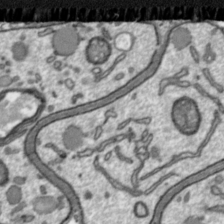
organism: Toxoplasma gondii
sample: Parasites in a vacuole inside a host cell